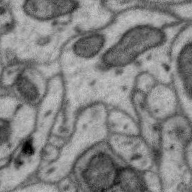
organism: Zebra finch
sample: Brain